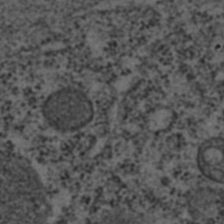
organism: C. elegans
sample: C. elegans embryo